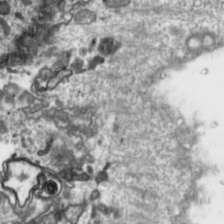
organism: Toxoplasma gondii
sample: Parasites in a vacuole inside a host cell